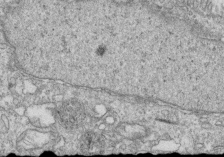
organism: Human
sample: HeLa cell HIV synapse